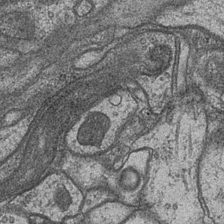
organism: Drosophila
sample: Optic medulla